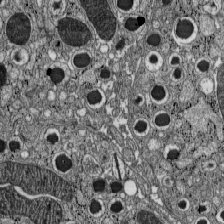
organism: C57BL Mouse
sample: Pancreatic islet